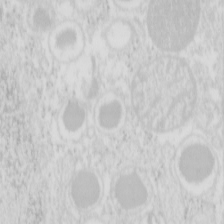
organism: Mouse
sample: Pancreas